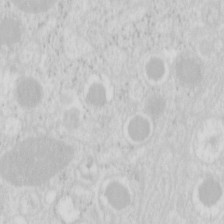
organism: Mouse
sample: Pancreas